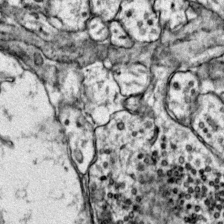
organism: Mouse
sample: Primary visual cortex